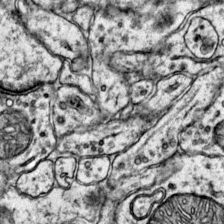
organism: Mouse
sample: Primary visual cortex